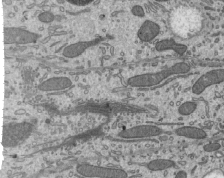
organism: Mouse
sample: Mouse epididymis efferent ductule cilia